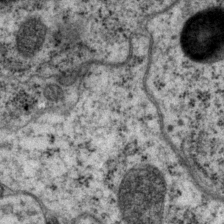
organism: P. pacificus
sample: Pharynx